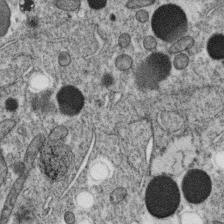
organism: C. elegans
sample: C. elegans oocyte; sperm cells